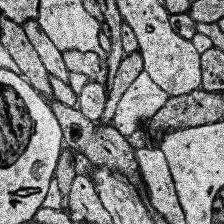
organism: Human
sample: Temporal Lobe